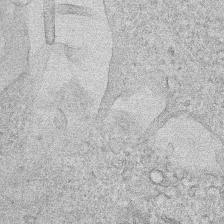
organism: Human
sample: Mitochondria in HCT116 cells